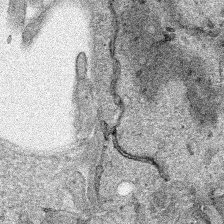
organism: Human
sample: Mitochondria in HCT116 cells